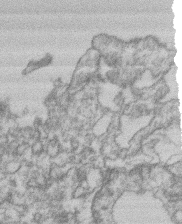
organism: Mouse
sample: T cell stromal cell synapse